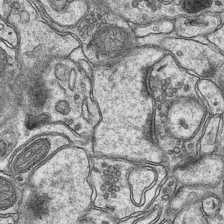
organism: Mouse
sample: CA1 Hippocampus